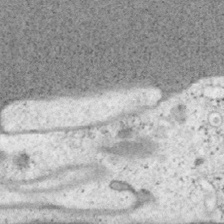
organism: Mouse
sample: OT-I killer T cells with ID8 ovarian cancer cells